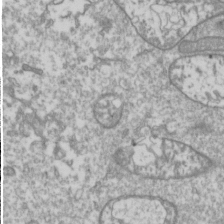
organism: Drosophila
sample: Cell division; meiosis; drosophila spermatocytes